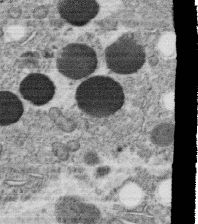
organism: C. elegans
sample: C. elegans oocyte; sperm cells